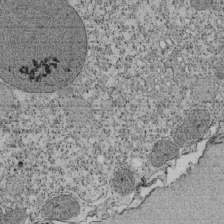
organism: Tetrahymena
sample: Cilia in tetrahymena